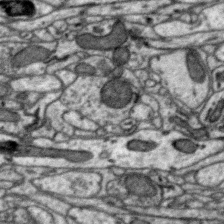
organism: Zebra finch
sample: Brain